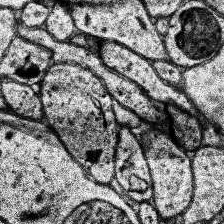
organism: Human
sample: Temporal Lobe